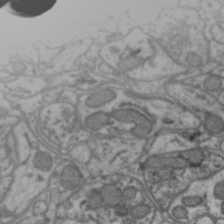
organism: Zebra finch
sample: Brain